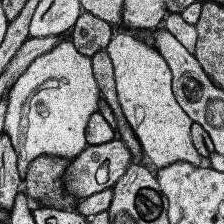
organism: Human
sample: Temporal Lobe